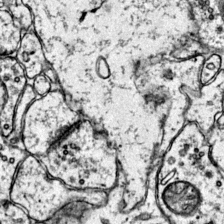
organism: Mouse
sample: Primary visual cortex